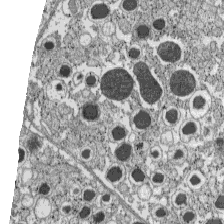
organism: C57BL Mouse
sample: Pancreatic islet